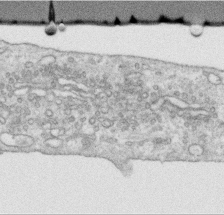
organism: Human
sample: Centriole in RPE cells